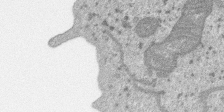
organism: Human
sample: Lung epithelial cells infected with SARS-CoV-2